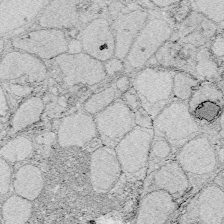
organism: Zebrafish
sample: Whole-Brain